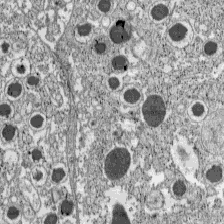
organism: C57BL Mouse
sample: Pancreatic islet